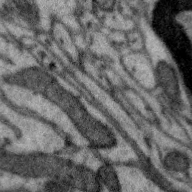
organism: Zebra finch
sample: Brain